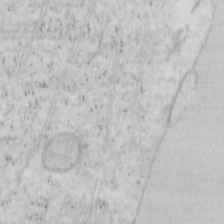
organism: Human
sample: HeLa cells